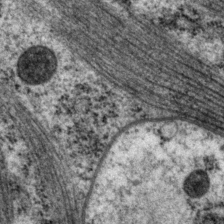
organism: P. pacificus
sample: Pharynx